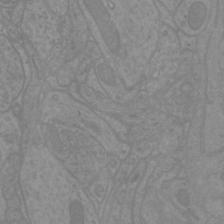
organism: Mouse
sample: Cortical neurons